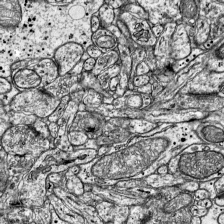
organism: Mouse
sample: Visual Cortex